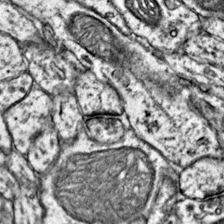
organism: Mouse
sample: Primary visual cortex